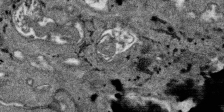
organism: Human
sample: Lung epithelial cells, uninfected (mock) control